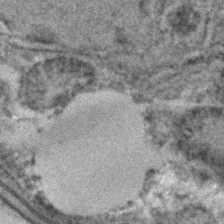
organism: C. elegans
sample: C. elegans embryo